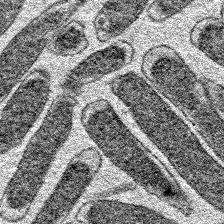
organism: E. coli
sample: E. Coli Bacteria